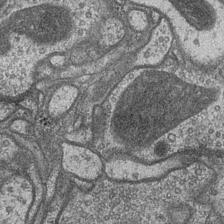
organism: Drosophila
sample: Optic medulla